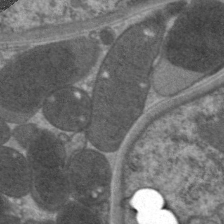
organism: C. elegans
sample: Pharynx